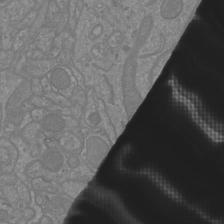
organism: Mouse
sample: Cortical neurons